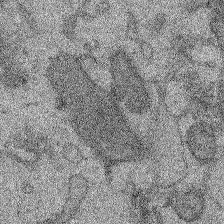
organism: Human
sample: HeLa cells